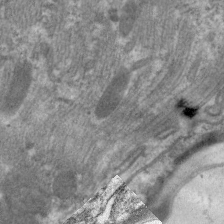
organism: C. elegans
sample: Pharynx